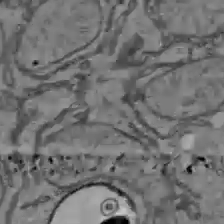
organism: C57BL Mouse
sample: Liver